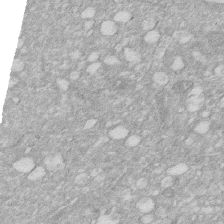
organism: Human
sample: HIV infected U937 cells